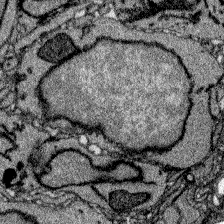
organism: Zebrafish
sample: Larval olfactory bulb